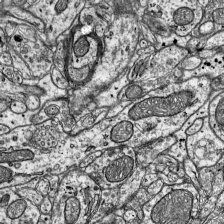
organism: Mouse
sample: Visual Cortex